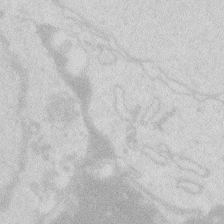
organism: Zebrafish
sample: Macrophage